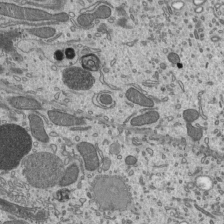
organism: Mouse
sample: Mouse epididymis efferent ductule cilia